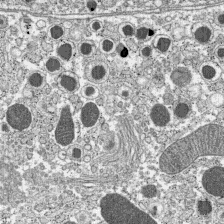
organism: C57BL Mouse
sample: Pancreatic islet